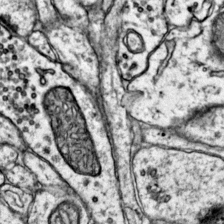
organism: Mouse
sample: Primary visual cortex